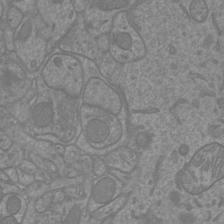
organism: Mouse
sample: Cortical neurons